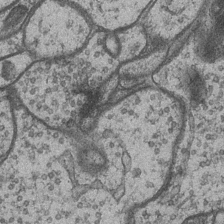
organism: Drosophila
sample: Optic medulla